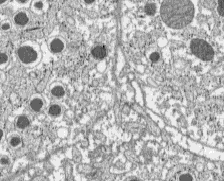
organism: C57BL Mouse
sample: Pancreatic islet